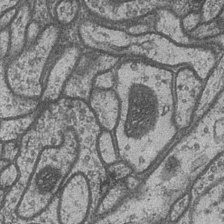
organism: Drosophila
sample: Optic medulla